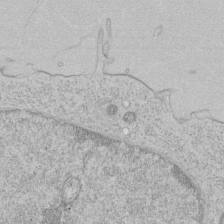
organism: Human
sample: Mitochondria in HCT116 cells